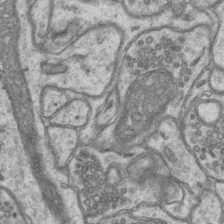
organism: Mouse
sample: CA1 Hippocampus